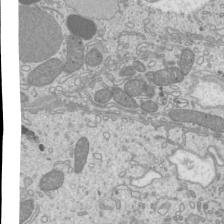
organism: Mouse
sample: Cilia; mouse epididymis